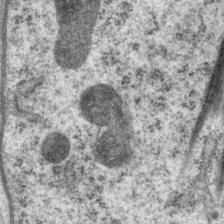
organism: P. pacificus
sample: Pharynx